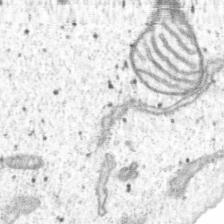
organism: Human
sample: HeLa cells